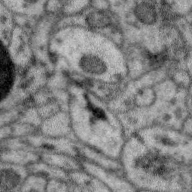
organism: Zebra finch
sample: Brain